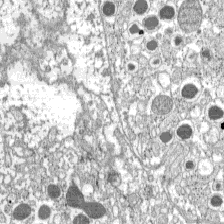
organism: C57BL Mouse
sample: Pancreatic islet